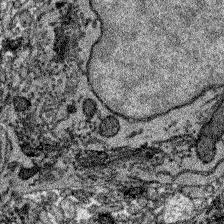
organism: Zebrafish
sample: Larval olfactory bulb